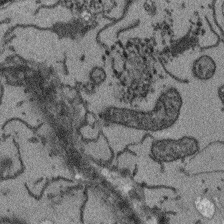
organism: Arabidopsis thaliana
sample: Root tip